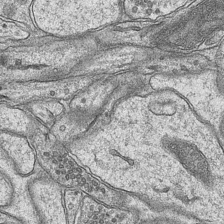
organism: Mouse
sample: CA1 Hippocampus